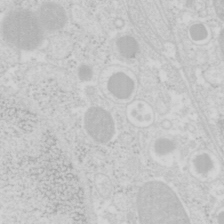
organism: Mouse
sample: Pancreas